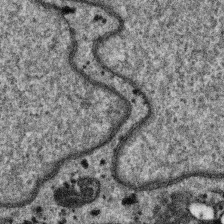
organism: Human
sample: Lung epithelial cells infected with SARS-CoV-2